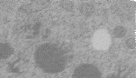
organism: C. elegans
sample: C. elegans embryo early stage